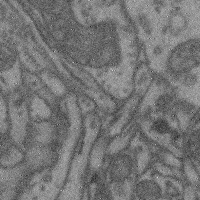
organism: Mouse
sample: Cerebral cortex